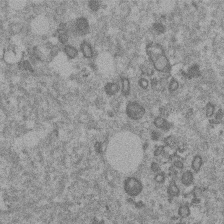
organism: Mouse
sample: Dividing mouse embryo 1 cell stage